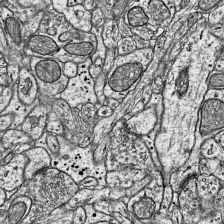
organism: Mouse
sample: Visual Cortex